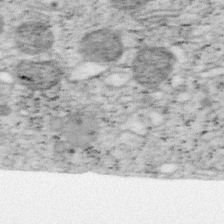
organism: Mouse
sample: OT-I killer T cells with ID8 ovarian cancer cells